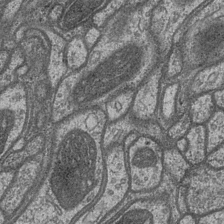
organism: Drosophila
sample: Optic medulla